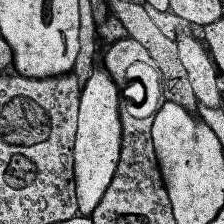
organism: Human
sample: Temporal Lobe